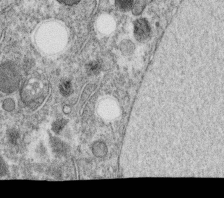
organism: C. elegans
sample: C. elegans oocyte; sperm cells